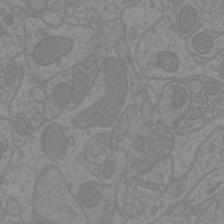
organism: Mouse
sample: Cortical neurons